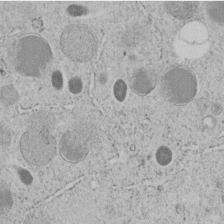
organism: C. elegans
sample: C. elegans embryo early stage